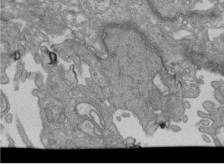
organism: Human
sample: Retinal organoid Rod and Cone cells